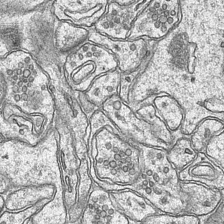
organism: Mouse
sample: CA1 Hippocampus